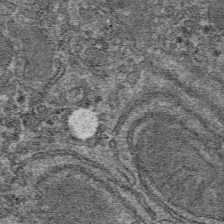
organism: Mouse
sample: Mouse hepatocytes